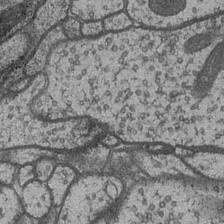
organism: Drosophila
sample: Optic medulla